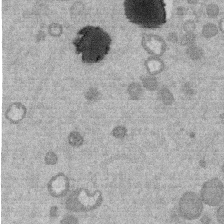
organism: Mouse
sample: Dividing mouse embryo 1 cell stage